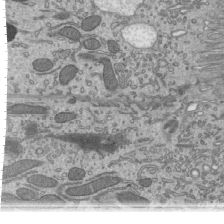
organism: Mouse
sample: Mouse epididymis efferent ductule cilia